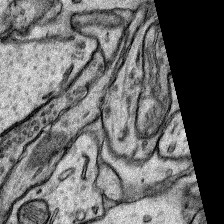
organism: Rat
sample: Hippocampus